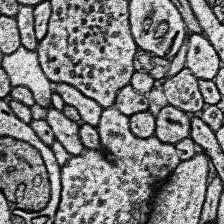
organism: Human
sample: Temporal Lobe